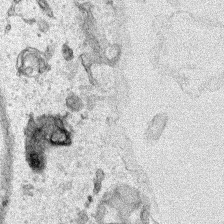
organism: Human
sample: Mitochondria in HCT116 cells